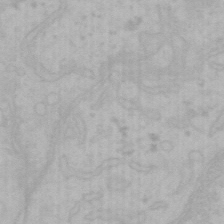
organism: Mouse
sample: Choroid plexus